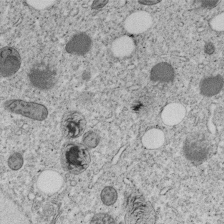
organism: C. elegans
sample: C. elegans embryo early stage